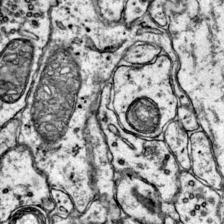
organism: Mouse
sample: Primary visual cortex